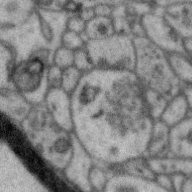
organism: Zebra finch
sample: Brain